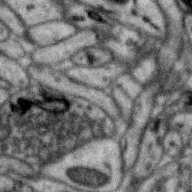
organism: Zebra finch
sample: Brain